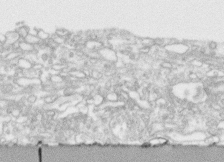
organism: Human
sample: CRL-1474